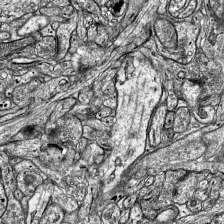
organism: Mouse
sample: Visual Cortex